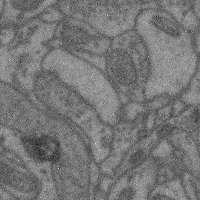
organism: Mouse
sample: Cerebral cortex